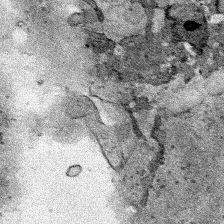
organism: Human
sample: Mitochondria in HCT116 cells